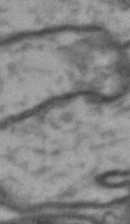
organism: Drosophila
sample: Brain